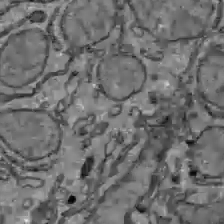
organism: C57BL Mouse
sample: Liver